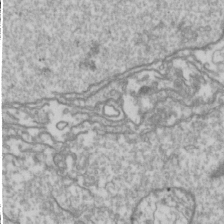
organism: Drosophila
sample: Cell division; meiosis; drosophila spermatocytes